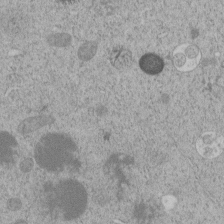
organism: C. elegans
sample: C. elegans embryo early stage